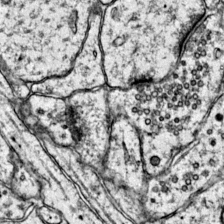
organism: Mouse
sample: Primary visual cortex